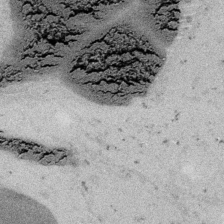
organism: Embia sp.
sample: Silk gland